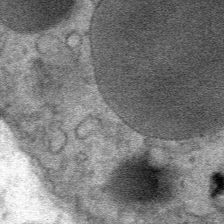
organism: Mouse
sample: Mouse Salivary gland